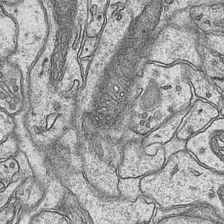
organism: Mouse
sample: CA1 Hippocampus